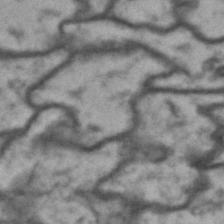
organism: Drosophila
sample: Brain